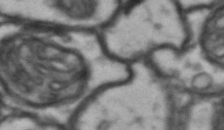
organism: Drosophila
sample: Brain